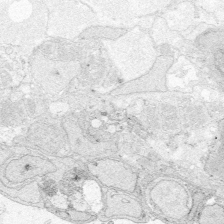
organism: Zebrafish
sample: Whole-Brain